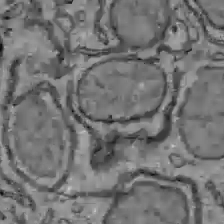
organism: C57BL Mouse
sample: Liver